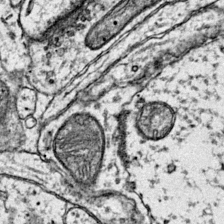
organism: Mouse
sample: Primary visual cortex